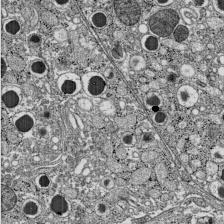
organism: C57BL Mouse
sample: Pancreatic islet